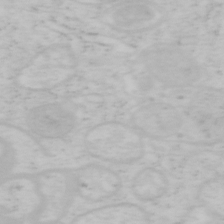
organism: Mouse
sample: OT-I killer T cells with ID8 ovarian cancer cells